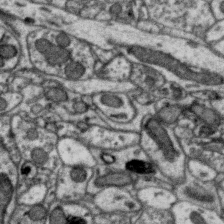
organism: Zebra finch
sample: Brain